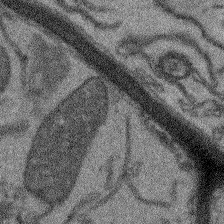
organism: Arabidopsis thaliana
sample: Root tip